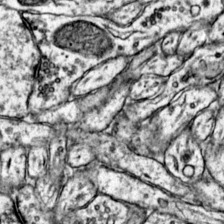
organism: Mouse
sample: Primary visual cortex